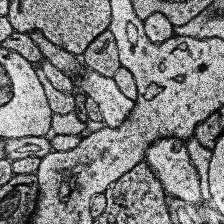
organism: Human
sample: Temporal Lobe